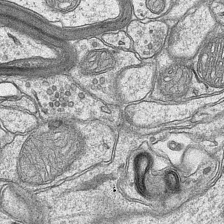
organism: Mouse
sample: CA1 Hippocampus